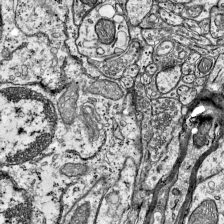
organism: Mouse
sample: Visual Cortex